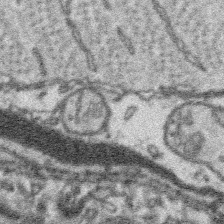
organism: Platynereis dumerilii